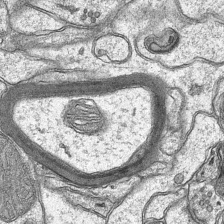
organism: Mouse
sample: CA1 Hippocampus